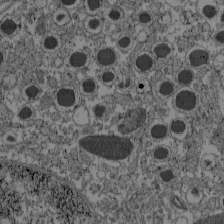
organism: C57BL Mouse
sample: Pancreatic islet